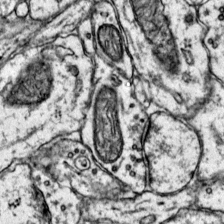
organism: Mouse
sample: Primary visual cortex